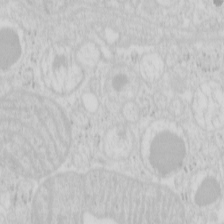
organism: Mouse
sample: Pancreas